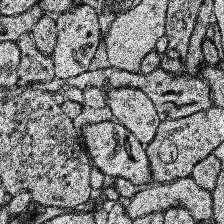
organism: Human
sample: Temporal Lobe